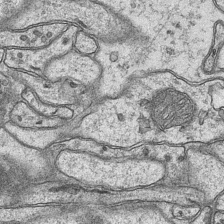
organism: Mouse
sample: CA1 Hippocampus